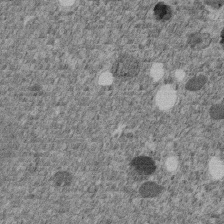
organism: C. elegans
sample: C. elegans embryo early stage